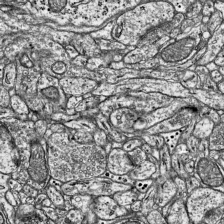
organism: Mouse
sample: Visual Cortex